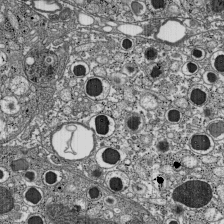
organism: C57BL Mouse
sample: Pancreatic islet